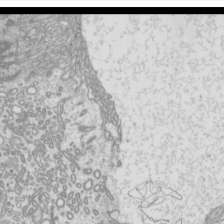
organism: Mouse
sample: Cilia; mouse epididymis